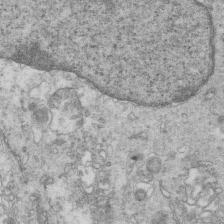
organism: Mouse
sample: Multiciliated cells